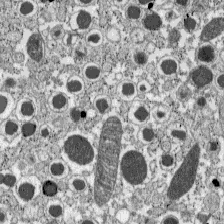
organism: C57BL Mouse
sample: Pancreatic islet